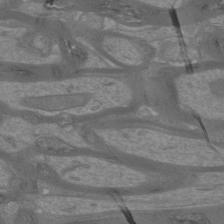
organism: Mouse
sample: Cortical neurons